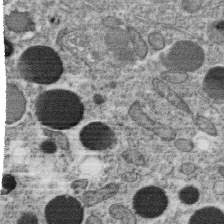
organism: C. elegans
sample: C. elegans oocyte; sperm cells